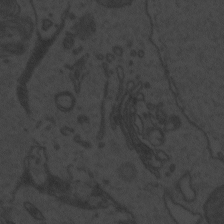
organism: Zebrafish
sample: Macrophage infected with Toxoplasma gondii